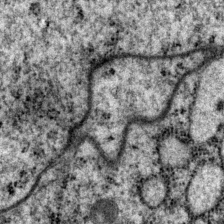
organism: P. pacificus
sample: Pharynx